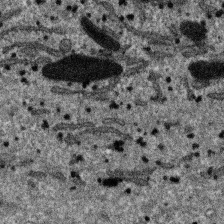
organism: Human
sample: Lung epithelial cells infected with SARS-CoV-2